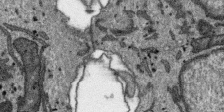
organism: Human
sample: Lung epithelial cells, uninfected (mock) control